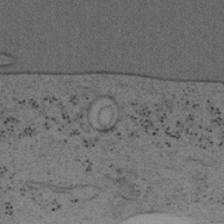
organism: Human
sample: HeLa cells